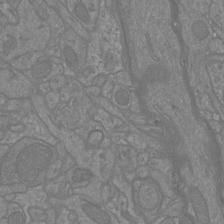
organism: Mouse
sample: Cortical neurons